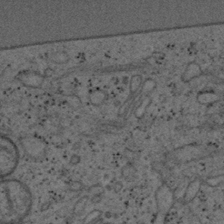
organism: Human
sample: HeLa cells